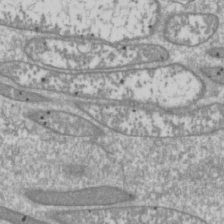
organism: Drosophila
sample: Cell division; meiosis; drosophila spermatocytes